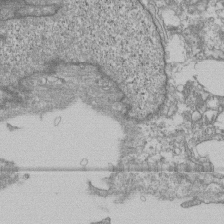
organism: Human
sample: Fibroblast cells